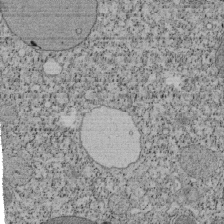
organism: Tetrahymena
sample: Cilia in tetrahymena